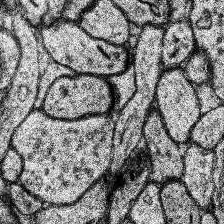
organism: Human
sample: Temporal Lobe